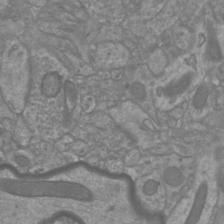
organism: Mouse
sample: Cortical neurons